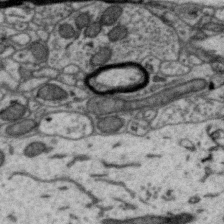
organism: Zebra finch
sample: Brain